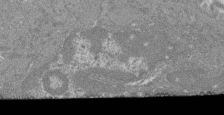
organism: Mouse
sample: Glomerulus